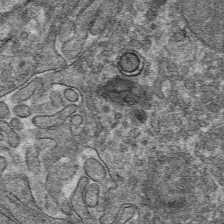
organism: Mouse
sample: Mouse hepatocytes